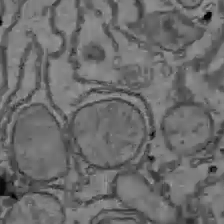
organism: C57BL Mouse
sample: Liver